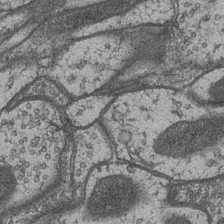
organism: Drosophila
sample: Optic medulla